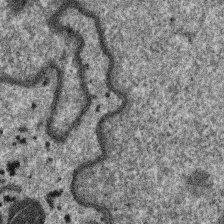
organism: Human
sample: Lung epithelial cells infected with SARS-CoV-2